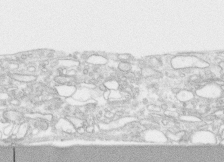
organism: Human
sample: CRL-1474